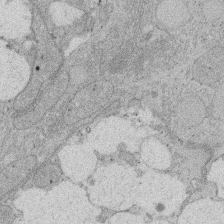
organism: Rat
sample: Salivary granule